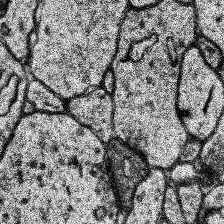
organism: Human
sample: Temporal Lobe